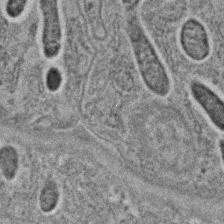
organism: C. elegans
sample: C. elegans embryo